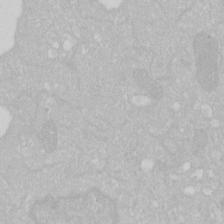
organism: Human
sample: HIV infected U937 cells